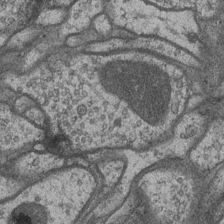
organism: Drosophila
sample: Optic medulla